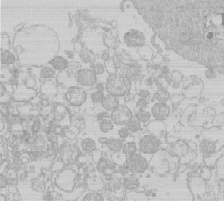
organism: Human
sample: Macrophage cells